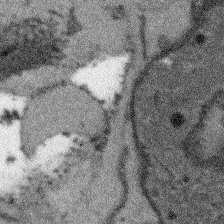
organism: Arabidopsis thaliana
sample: Root tip